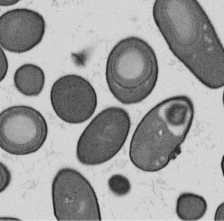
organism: B. subtilis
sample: Bacterial spore